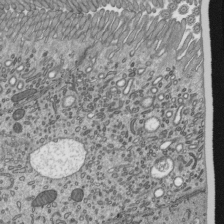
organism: Mouse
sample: Mouse epididymis efferent ductule cilia